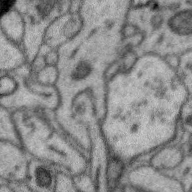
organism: Zebra finch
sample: Brain